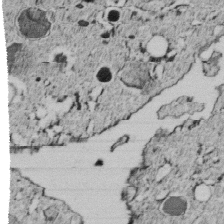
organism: C. elegans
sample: C. elegans embryo early stage